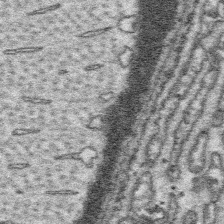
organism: Platynereis dumerilii